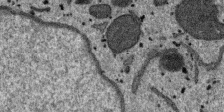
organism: Human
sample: Lung epithelial cells, uninfected (mock) control